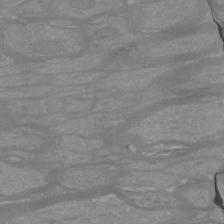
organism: Mouse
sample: Cortical neurons